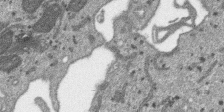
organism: Human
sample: Lung epithelial cells infected with SARS-CoV-2